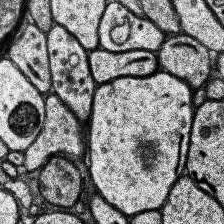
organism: Human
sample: Temporal Lobe